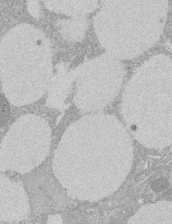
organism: Rat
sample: Salivary granule